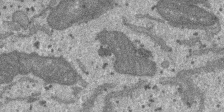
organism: Human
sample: Lung epithelial cells infected with SARS-CoV-2